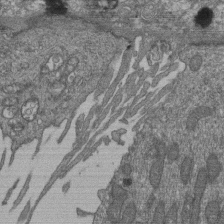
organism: Human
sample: Retinal organoid Rod and Cone cells